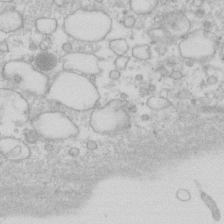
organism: Human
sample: Fibroblast cells